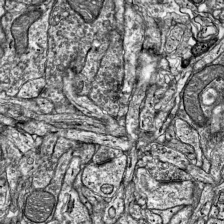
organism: Mouse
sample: Visual Cortex